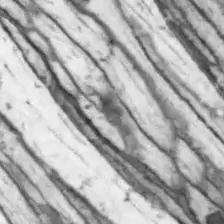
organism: Drosophila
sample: Optic lobe